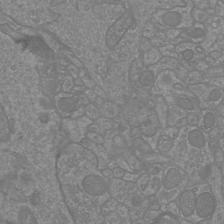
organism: Mouse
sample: Cortical neurons